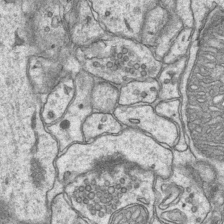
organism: Mouse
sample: CA1 Hippocampus